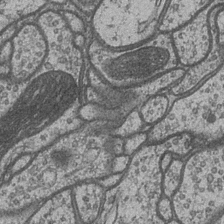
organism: Drosophila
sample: Optic medulla